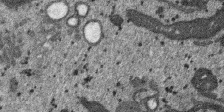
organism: Human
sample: Lung epithelial cells infected with SARS-CoV-2